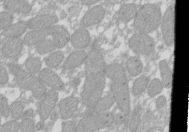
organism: Xenopus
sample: Cilia; centrioles in frog embryo cells